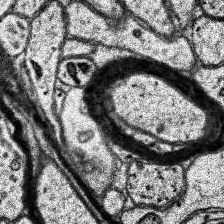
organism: Human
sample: Temporal Lobe